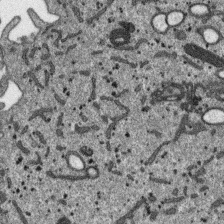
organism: Human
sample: Lung epithelial cells infected with SARS-CoV-2